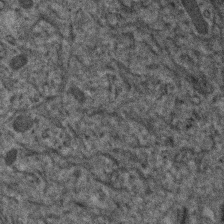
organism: Human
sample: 1205lu cells